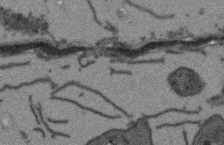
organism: Arabidopsis thaliana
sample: Root tip